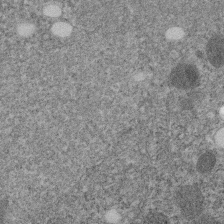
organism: C. elegans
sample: C. elegans embryo early stage